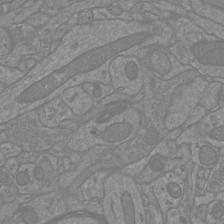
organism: Mouse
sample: Cortical neurons